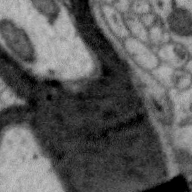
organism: Zebra finch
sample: Brain